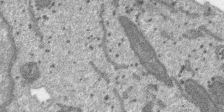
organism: Human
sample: Lung epithelial cells infected with SARS-CoV-2